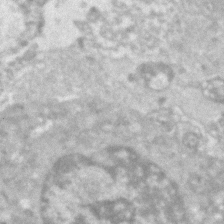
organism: Human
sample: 1205lu cells